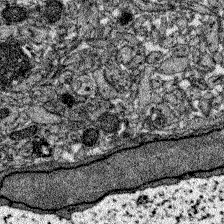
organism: Zebrafish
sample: Larval olfactory bulb